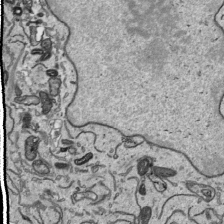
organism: Human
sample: Mitochondria in HCT116 cells